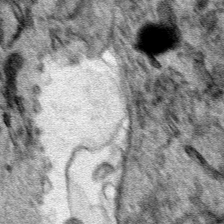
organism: Human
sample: Mitochondria in HCT116 cells